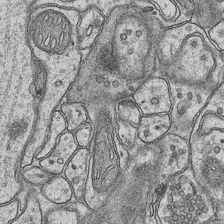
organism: Mouse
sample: CA1 Hippocampus